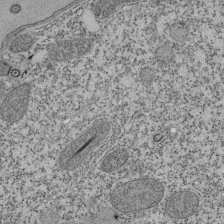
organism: Tetrahymena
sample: Cilia in tetrahymena